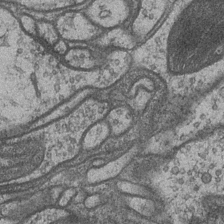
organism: Drosophila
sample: Optic medulla